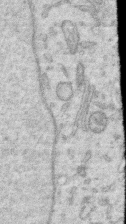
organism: Human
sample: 1205lu cells